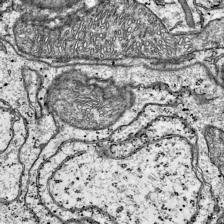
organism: Mouse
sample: Visual Cortex